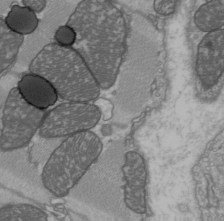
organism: C57BL Mouse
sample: Heart